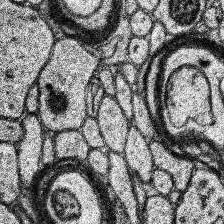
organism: Human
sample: Temporal Lobe